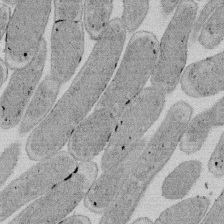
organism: E. coli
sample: Bacterial nucleoid